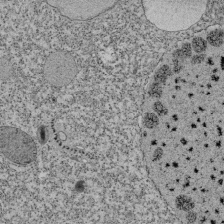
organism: Tetrahymena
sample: Cilia in tetrahymena